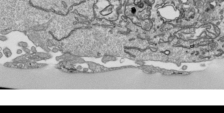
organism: Human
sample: Mitochondria in HCT116 cells